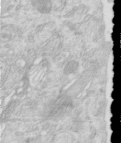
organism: Human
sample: Centriole in RPE cells